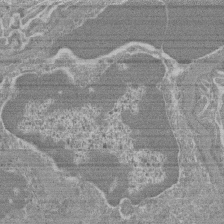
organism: Mouse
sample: Glomerulus